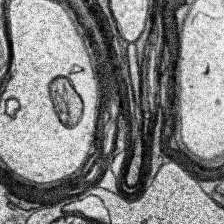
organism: Human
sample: Temporal Lobe